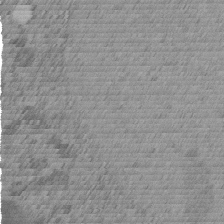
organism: C. elegans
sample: C. elegans embryo early stage